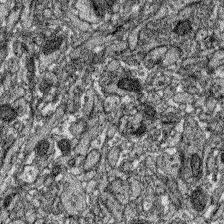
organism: Zebrafish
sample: Larval olfactory bulb